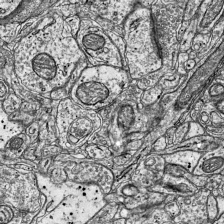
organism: Mouse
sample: Visual Cortex